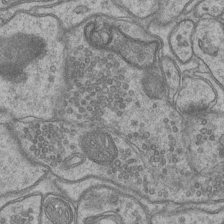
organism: Mouse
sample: CA1 Hippocampus